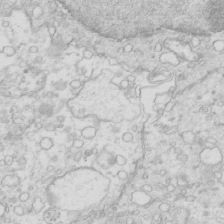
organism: Mouse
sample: Multiciliated cells